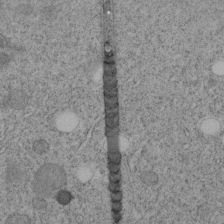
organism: C. elegans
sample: C. elegans embryo early stage